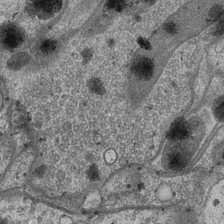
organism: Drosophila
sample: Optic medulla